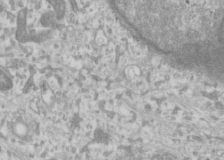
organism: Human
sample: Cilia; basal body in RPE cells